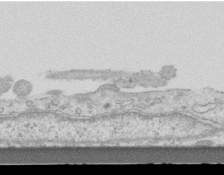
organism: Mouse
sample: Centriole in ependymal cells